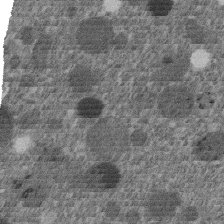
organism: C. elegans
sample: C. elegans embryo early stage